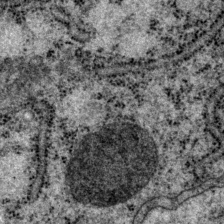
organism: P. pacificus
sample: Pharynx